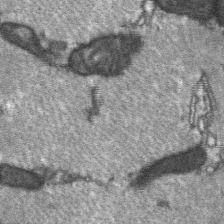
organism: C57BL Mouse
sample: Soleus